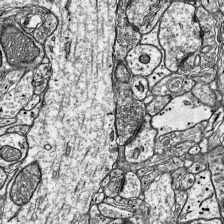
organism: Mouse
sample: Visual Cortex